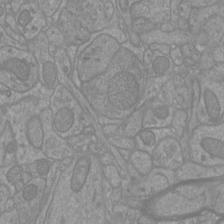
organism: Mouse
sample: Cortical neurons